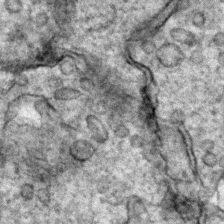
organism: Zebrafish